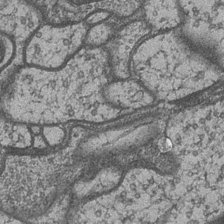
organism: Drosophila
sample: Optic medulla